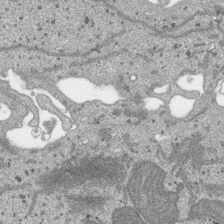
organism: Human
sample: Lung epithelial cells infected with SARS-CoV-2